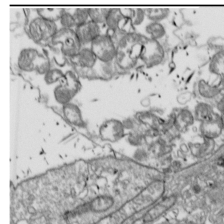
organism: Drosophila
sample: Cell division; meiosis; drosophila spermatocytes